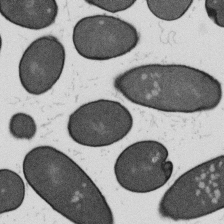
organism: B. subtilis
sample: Bacterial spore